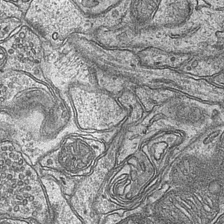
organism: Mouse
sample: CA1 Hippocampus